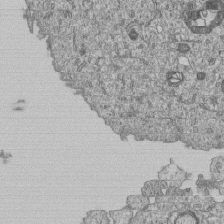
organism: Human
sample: MDA-MB-231 cells